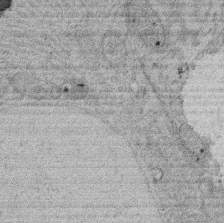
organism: Rat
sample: Salivary granule